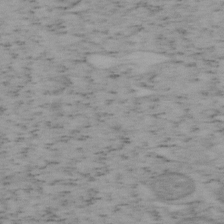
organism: Mouse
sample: OT-I killer T cells with ID8 ovarian cancer cells